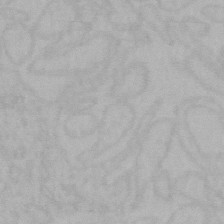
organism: Mouse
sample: Choroid plexus